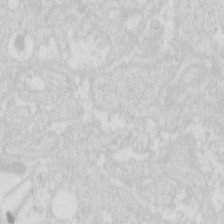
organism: Mouse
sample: Pancreas